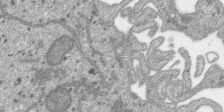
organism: Human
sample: Lung epithelial cells infected with SARS-CoV-2